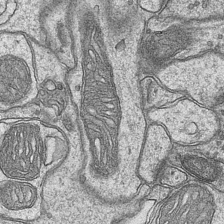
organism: Mouse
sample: CA1 Hippocampus